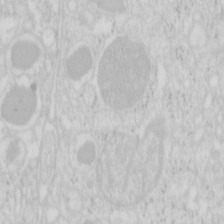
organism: Mouse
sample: Pancreas